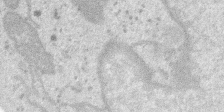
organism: Human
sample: Lung epithelial cells infected with SARS-CoV-2